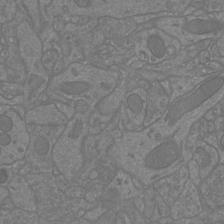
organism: Mouse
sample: Cortical neurons